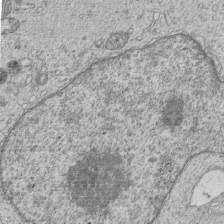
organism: Human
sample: MDA-MB-231 cells